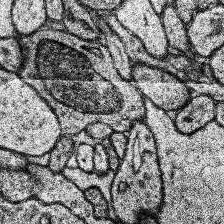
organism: Human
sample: Temporal Lobe